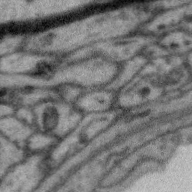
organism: Zebra finch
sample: Brain